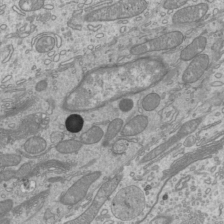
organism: Mouse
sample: Cilia; mouse epididymis